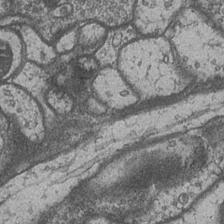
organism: Drosophila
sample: Optic medulla